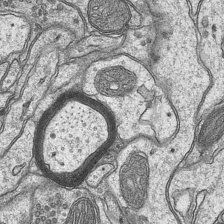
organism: Mouse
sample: CA1 Hippocampus